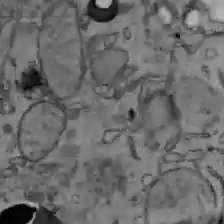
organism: C57BL Mouse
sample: Liver